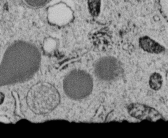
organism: C. elegans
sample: C. elegans embryo early stage